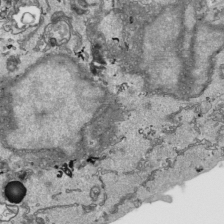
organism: Human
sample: Mitochondria in HCT116 cells